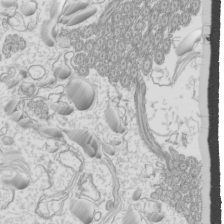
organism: Mouse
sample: Cilia; mouse epididymis